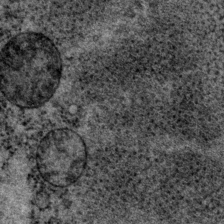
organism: P. pacificus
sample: Pharynx